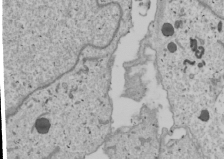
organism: Human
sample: Mitochondria in U2OS cells